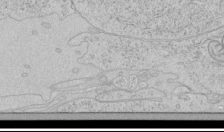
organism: Human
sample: Mitochondria in HCT116 cells